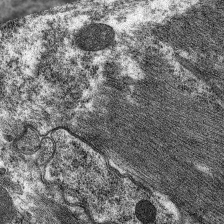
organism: C. elegans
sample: Pharynx